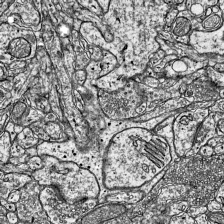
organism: Mouse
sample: Visual Cortex